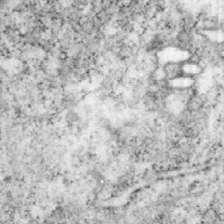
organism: Mouse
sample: OT-I killer T cells with ID8 ovarian cancer cells